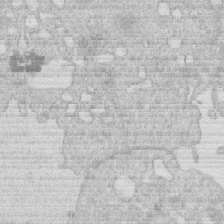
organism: Human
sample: Macrophage cells